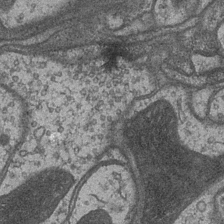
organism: Drosophila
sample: Optic medulla